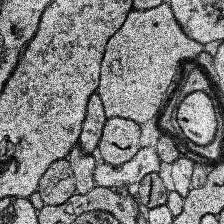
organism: Human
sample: Temporal Lobe